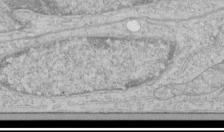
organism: Human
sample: Mitochondria in HCT116 cells